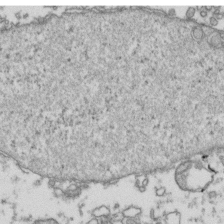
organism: Human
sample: Activated Jurkat CD4+ T cells